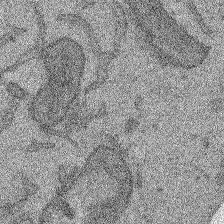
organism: Human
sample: HeLa cells